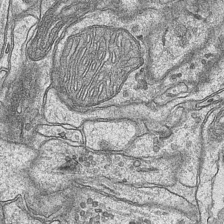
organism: Mouse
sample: CA1 Hippocampus